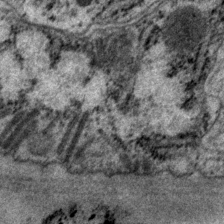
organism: P. pacificus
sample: Pharynx